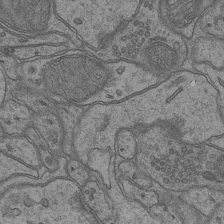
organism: Mouse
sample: CA1 Hippocampus